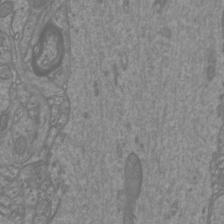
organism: Mouse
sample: Cortical neurons